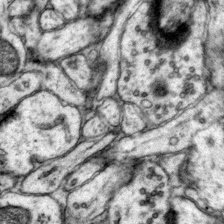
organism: Mouse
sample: Primary visual cortex